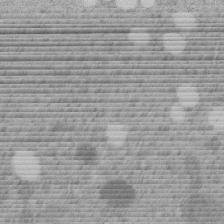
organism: C. elegans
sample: C. elegans embryo early stage